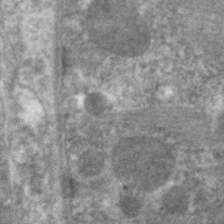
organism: C. elegans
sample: Pharynx